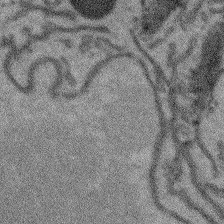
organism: Arabidopsis thaliana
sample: Root tip